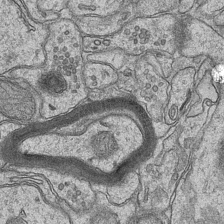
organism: Mouse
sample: CA1 Hippocampus